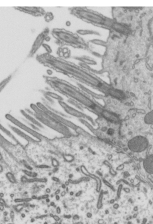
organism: Mouse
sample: Mouse epididymis efferent ductule cilia